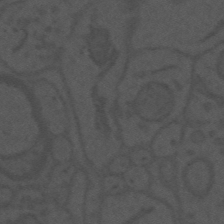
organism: Mouse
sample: Suprachiasmatic nucleus